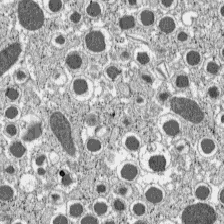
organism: C57BL Mouse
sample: Pancreatic islet